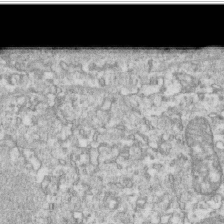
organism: Mouse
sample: Activated OT-1 CD8+ T cells